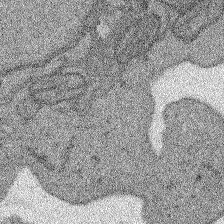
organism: Human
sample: HeLa cells